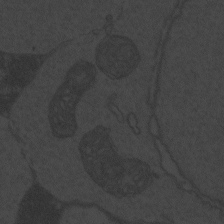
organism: Zebrafish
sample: Macrophage infected with Toxoplasma gondii